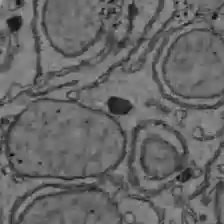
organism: C57BL Mouse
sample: Liver